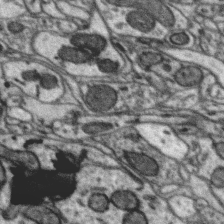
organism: Zebra finch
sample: Brain